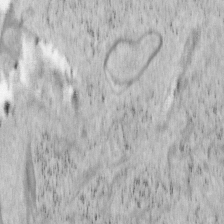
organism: Human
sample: HeLa cells